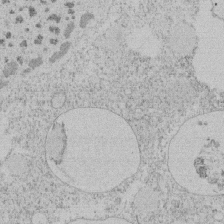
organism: Tetrahymena